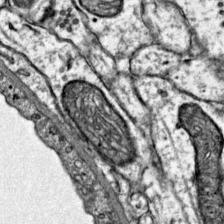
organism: Mouse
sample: Primary visual cortex